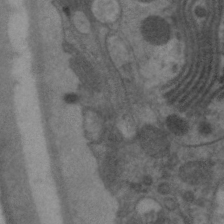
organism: C. elegans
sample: Pharynx